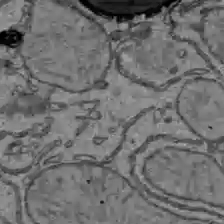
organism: C57BL Mouse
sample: Liver